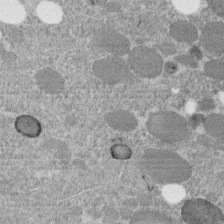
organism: C. elegans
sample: C. elegans embryo early stage